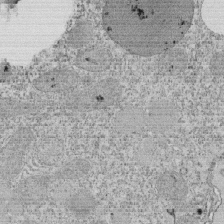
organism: Tetrahymena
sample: Cilia in tetrahymena